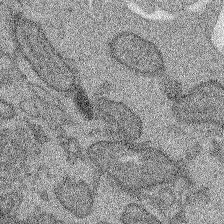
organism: Human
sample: HeLa cells